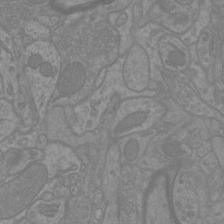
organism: Mouse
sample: Cortical neurons